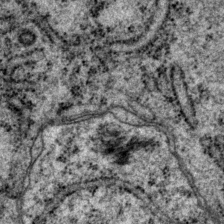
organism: P. pacificus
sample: Pharynx